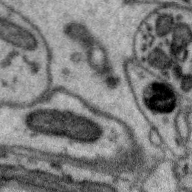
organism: Zebra finch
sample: Brain